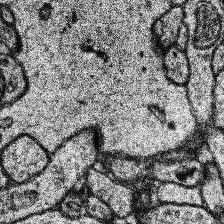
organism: Human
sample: Temporal Lobe